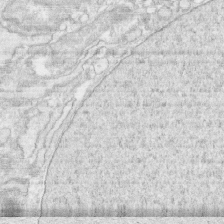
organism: Human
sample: CRL-1474